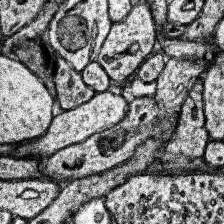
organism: Human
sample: Temporal Lobe